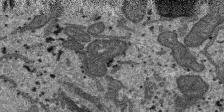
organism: Human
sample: Lung epithelial cells infected with SARS-CoV-2